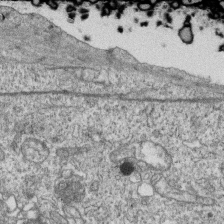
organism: Human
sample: HeLa cell HIV synapse